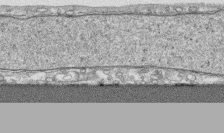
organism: Human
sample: CRL-1474